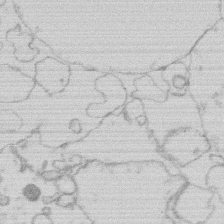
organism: Human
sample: Macrophage cells